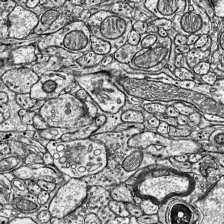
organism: Mouse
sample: Visual Cortex